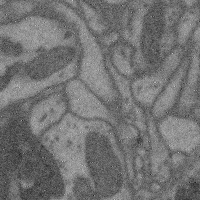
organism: Mouse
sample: Cerebral cortex